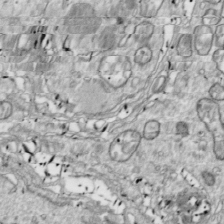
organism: Drosophila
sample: Cell division; meiosis; drosophila spermatocytes